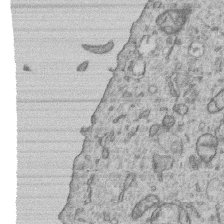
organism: Human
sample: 1205lu cells